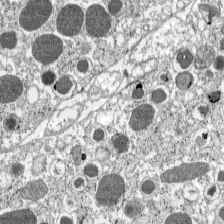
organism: C57BL Mouse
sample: Pancreatic islet